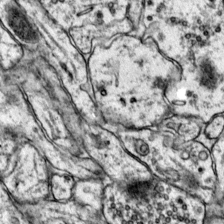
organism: Mouse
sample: Primary visual cortex